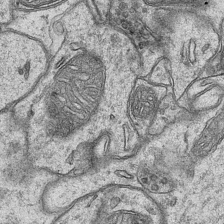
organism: Mouse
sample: CA1 Hippocampus